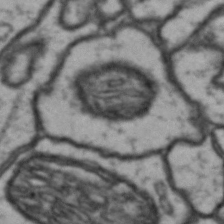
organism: Drosophila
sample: Brain